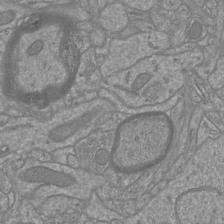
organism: Mouse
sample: Cortical neurons